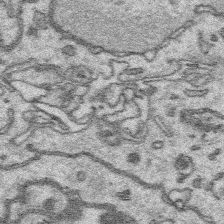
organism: Platynereis dumerilii